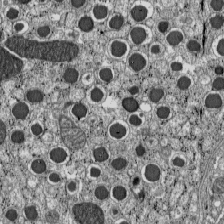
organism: C57BL Mouse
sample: Pancreatic islet